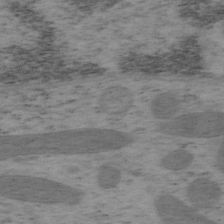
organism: Mouse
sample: OT-I killer T cells with ID8 ovarian cancer cells